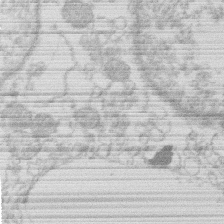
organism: Human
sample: Macrophage cells